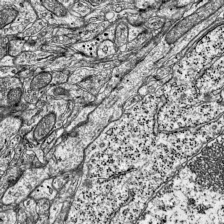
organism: Mouse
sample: Visual Cortex